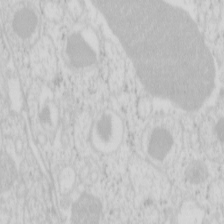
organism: Mouse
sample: Pancreas